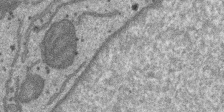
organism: Human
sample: Lung epithelial cells infected with SARS-CoV-2